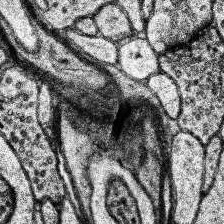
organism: Human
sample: Temporal Lobe